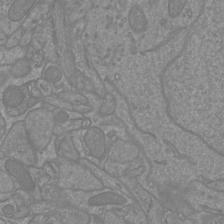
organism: Mouse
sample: Cortical neurons